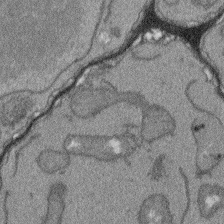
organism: Arabidopsis thaliana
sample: Root tip